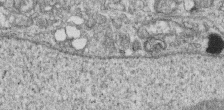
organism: Human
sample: HeLa cell HIV synapse